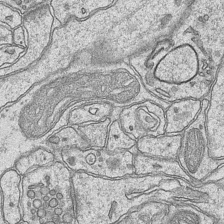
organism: Mouse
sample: CA1 Hippocampus